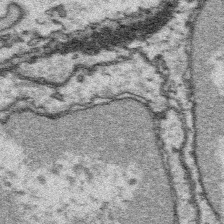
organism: Platynereis dumerilii